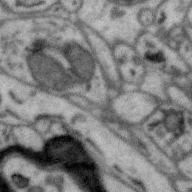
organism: Zebra finch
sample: Brain